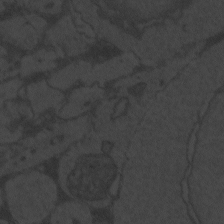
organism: Zebrafish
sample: Macrophage infected with Toxoplasma gondii